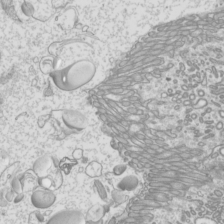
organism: Mouse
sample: Cilia; mouse epididymis